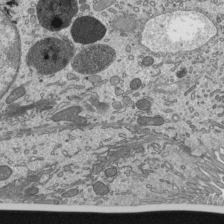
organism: Mouse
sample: Mouse epididymis efferent ductule cilia